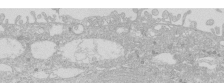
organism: Human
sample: Caco-2 cells